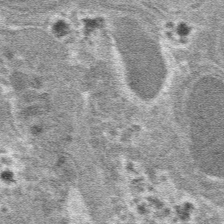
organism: Mouse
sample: Mouse hepatocytes